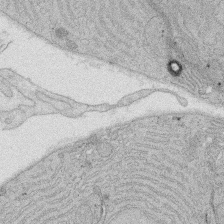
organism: Rat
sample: Salivary granule